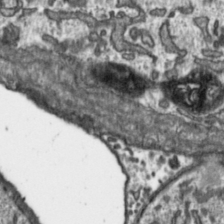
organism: Toxoplasma gondii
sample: Parasites in a vacuole inside a host cell